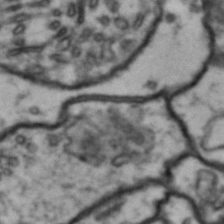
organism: Drosophila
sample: Brain